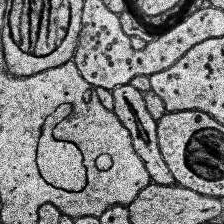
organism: Human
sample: Temporal Lobe